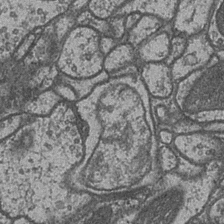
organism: Drosophila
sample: Optic medulla